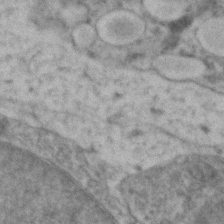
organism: Zebrafish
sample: Zebrafish embryo